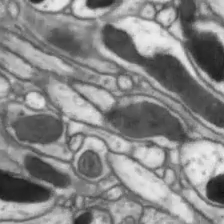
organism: Drosophila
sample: Optic lobe